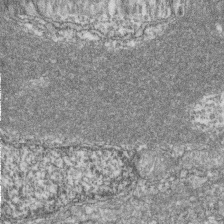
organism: Zebrafish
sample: Cilia; retinal pigment epithelium